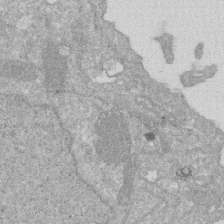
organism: Human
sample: HIV infected U937 cells